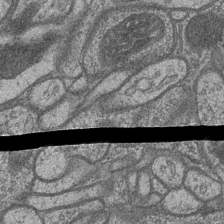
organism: Drosophila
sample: Optic medulla